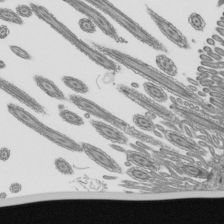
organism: Mouse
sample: Mouse epididymis efferent ductule cilia